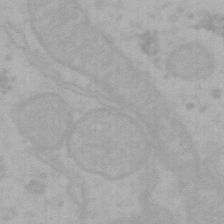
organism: Mouse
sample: Choroid plexus